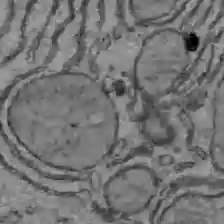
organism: C57BL Mouse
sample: Liver